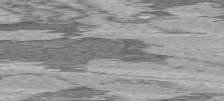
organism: C57BL Mouse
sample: Heart